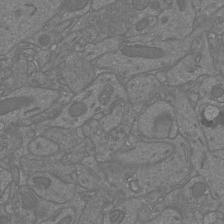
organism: Mouse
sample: Cortical neurons